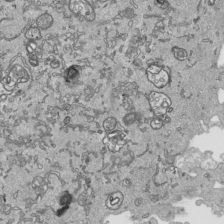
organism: Human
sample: Mitochondria in HCT116 cells